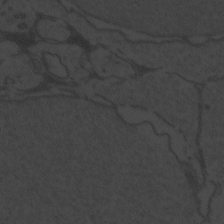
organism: Zebrafish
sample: Macrophage infected with Toxoplasma gondii